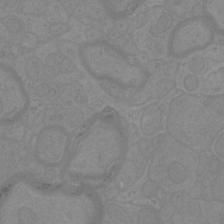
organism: Mouse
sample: Cortical neurons